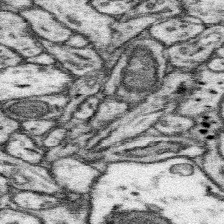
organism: Mouse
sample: Somatosensory cortex neuropil